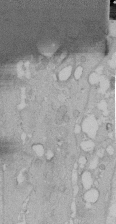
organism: Human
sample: Melanocyte Keratinocyte synapse skin construct